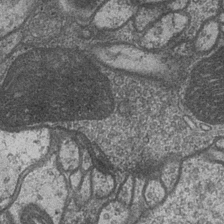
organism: Drosophila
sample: Optic medulla